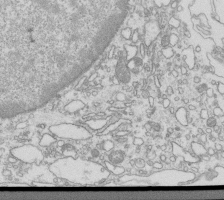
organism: Mouse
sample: Macrophages